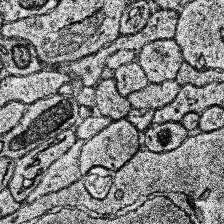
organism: Human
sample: Temporal Lobe